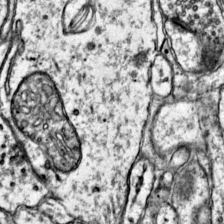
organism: Mouse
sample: Primary visual cortex